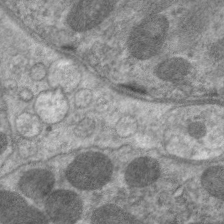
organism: C. elegans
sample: Pharynx